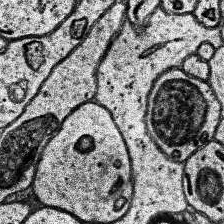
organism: Human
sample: Temporal Lobe